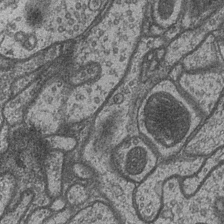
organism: Drosophila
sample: Optic medulla